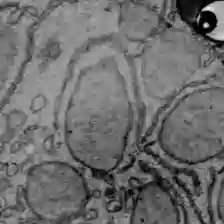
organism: C57BL Mouse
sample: Liver